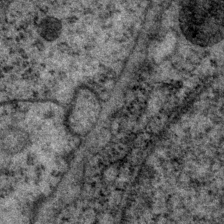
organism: P. pacificus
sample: Pharynx